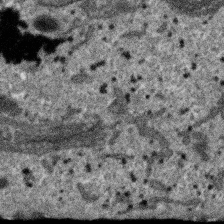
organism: Human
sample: Lung epithelial cells infected with SARS-CoV-2